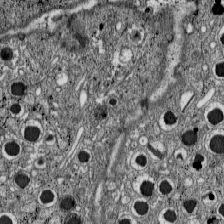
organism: C57BL Mouse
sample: Pancreatic islet